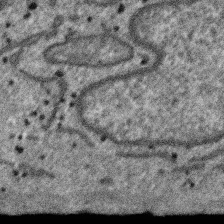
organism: Human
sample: Lung epithelial cells infected with SARS-CoV-2